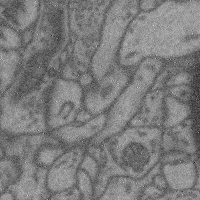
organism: Mouse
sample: Cerebral cortex